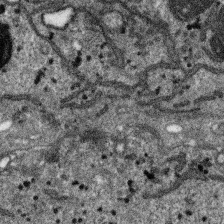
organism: Human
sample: Lung epithelial cells infected with SARS-CoV-2